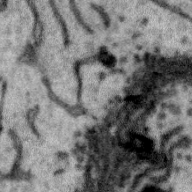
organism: Zebra finch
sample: Brain